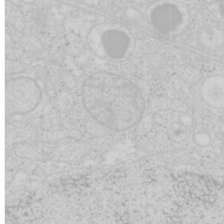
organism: Mouse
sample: Pancreas